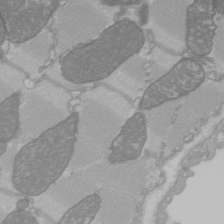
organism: C57BL Mouse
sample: Heart